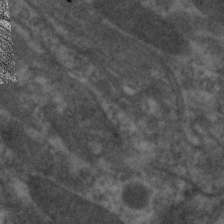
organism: C. elegans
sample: Pharynx